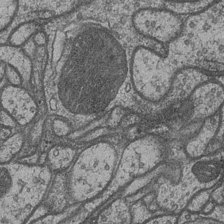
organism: Drosophila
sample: Optic medulla